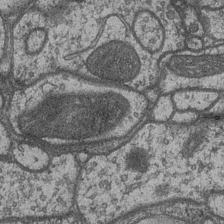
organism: Drosophila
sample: Optic medulla